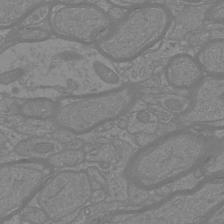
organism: Mouse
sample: Cortical neurons